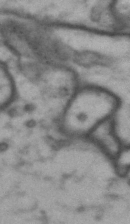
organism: Drosophila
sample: Brain